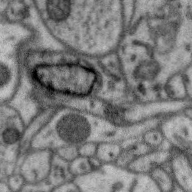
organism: Zebra finch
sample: Brain